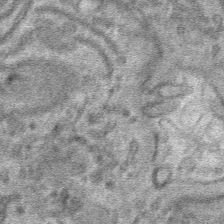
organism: Mouse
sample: Mouse hepatocytes